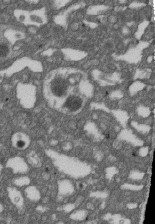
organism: Drosophila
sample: Nephrocyte